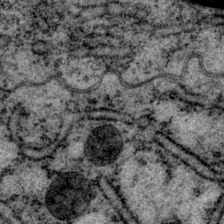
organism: P. pacificus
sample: Pharynx